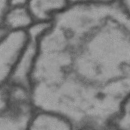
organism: Drosophila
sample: Brain